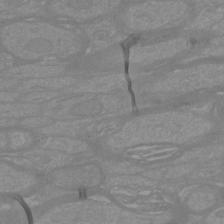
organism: Mouse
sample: Cortical neurons